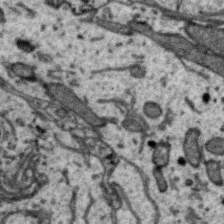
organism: Zebra finch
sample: Brain